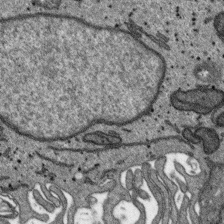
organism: Human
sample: Lung epithelial cells, uninfected (mock) control